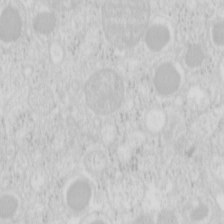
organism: Mouse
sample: Pancreas